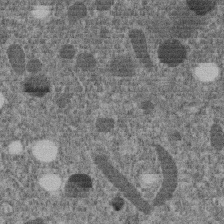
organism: C. elegans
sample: C. elegans embryo early stage